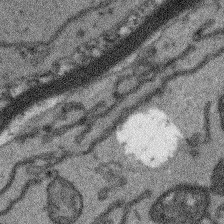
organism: Arabidopsis thaliana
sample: Root tip